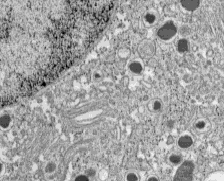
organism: C57BL Mouse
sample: Pancreatic islet